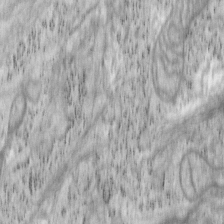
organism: Human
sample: HeLa cells